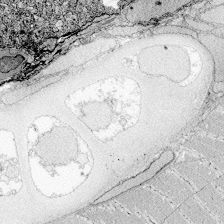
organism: Zebrafish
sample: Whole-Brain